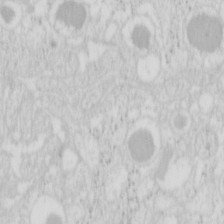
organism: Mouse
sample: Pancreas